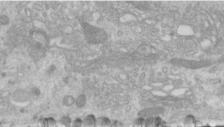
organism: Human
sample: Centriole in RPE cells